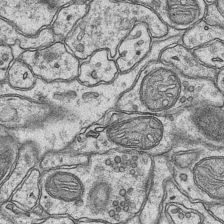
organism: Mouse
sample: CA1 Hippocampus